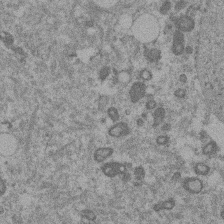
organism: Mouse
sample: Dividing mouse embryo 1 cell stage